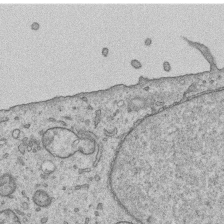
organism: Human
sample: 1205lu cells